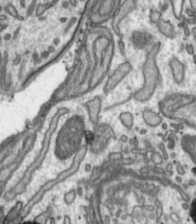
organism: Toxoplasma gondii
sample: Parasites in a vacuole inside a host cell